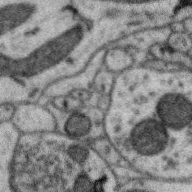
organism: Zebra finch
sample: Brain